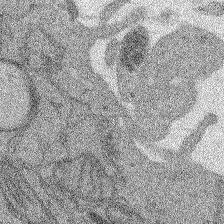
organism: Human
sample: HeLa cells